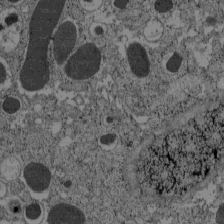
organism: C57BL Mouse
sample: Pancreatic islet